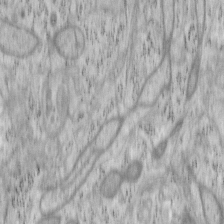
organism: Human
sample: HeLa cells